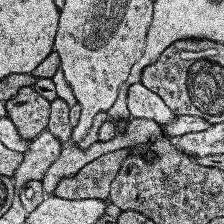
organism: Human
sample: Temporal Lobe